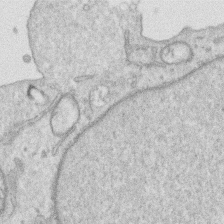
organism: Human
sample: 1205lu cells